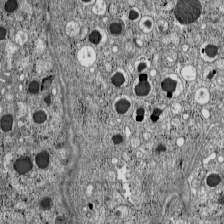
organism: C57BL Mouse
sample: Pancreatic islet